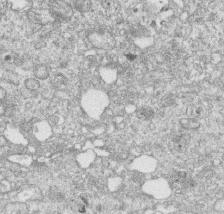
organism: Human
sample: HeLa cell HIV synapse